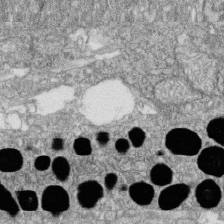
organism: Zebrafish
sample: Cilia; retinal pigment epithelium